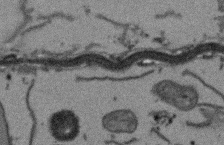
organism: Arabidopsis thaliana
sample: Root tip